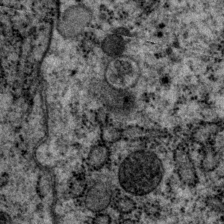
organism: P. pacificus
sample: Pharynx